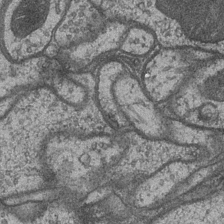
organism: Drosophila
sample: Optic medulla